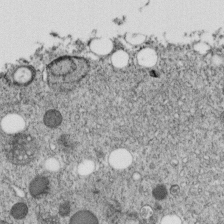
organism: C. elegans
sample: C. elegans embryo early stage